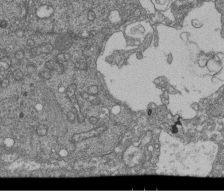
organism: Human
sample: Retinal organoid Rod and Cone cells